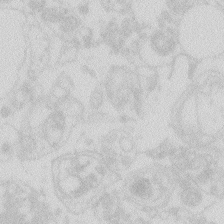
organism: Zebrafish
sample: Macrophage